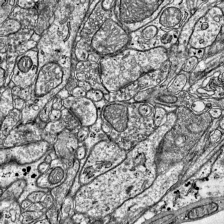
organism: Mouse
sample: Visual Cortex